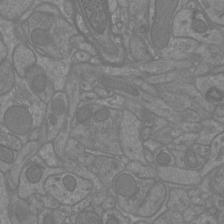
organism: Mouse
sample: Cortical neurons